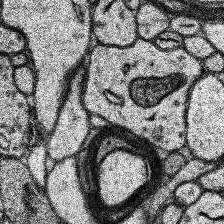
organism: Human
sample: Temporal Lobe